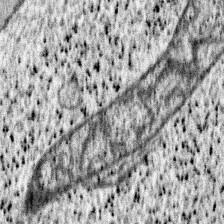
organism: Human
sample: HeLa cells